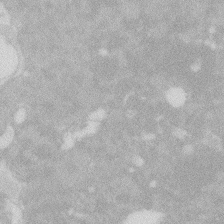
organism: Zebrafish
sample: Macrophage